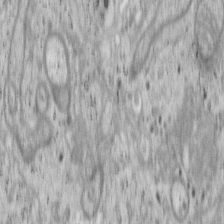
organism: Human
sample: HeLa cells